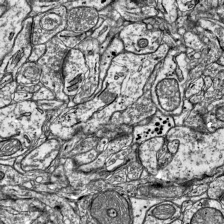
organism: Mouse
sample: Visual Cortex